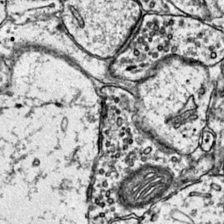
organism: Mouse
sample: Primary visual cortex